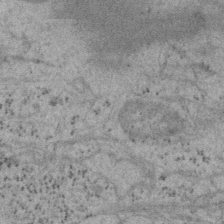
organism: Human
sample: HeLa cells